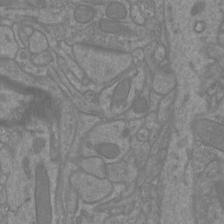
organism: Mouse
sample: Cortical neurons